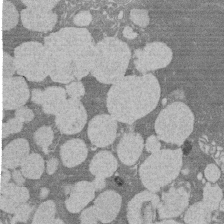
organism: Rat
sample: Salivary granule